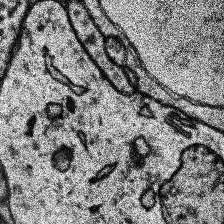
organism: Human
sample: Temporal Lobe